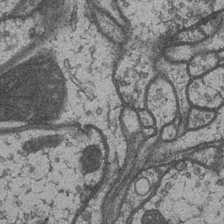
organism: Drosophila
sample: Optic medulla